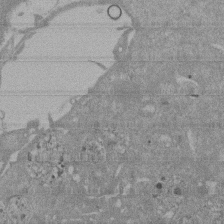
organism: Mouse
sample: ED-1 cell nuclei; centrioles